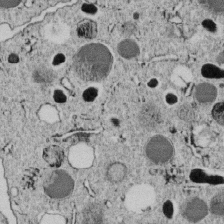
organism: C. elegans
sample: C. elegans embryo early stage